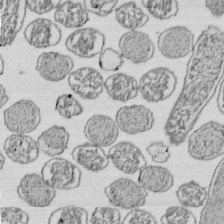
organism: E. coli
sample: Bacterial nucleoid